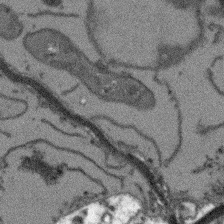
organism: Arabidopsis thaliana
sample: Root tip